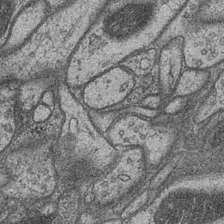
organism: Drosophila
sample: Optic medulla